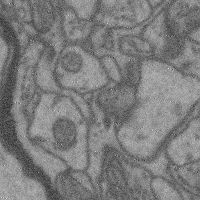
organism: Mouse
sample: Cerebral cortex